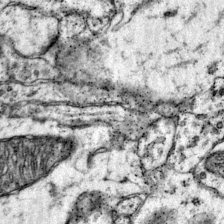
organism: Mouse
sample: Primary visual cortex